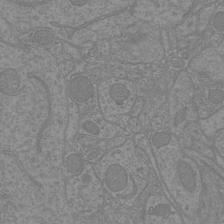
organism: Mouse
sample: Cortical neurons